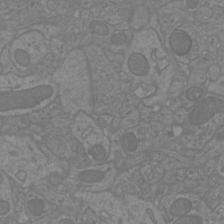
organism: Mouse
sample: Cortical neurons